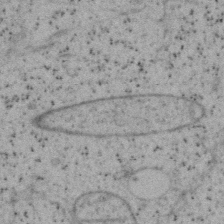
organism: Human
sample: HeLa cells